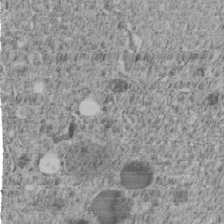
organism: C. elegans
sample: C. elegans embryo early stage